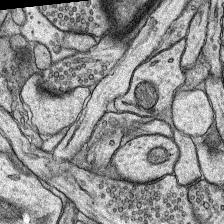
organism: Rat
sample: Hippocampus